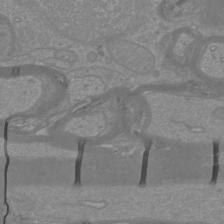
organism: Mouse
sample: Cortical neurons